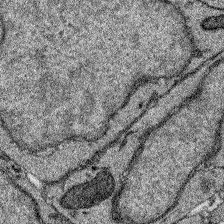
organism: Zebrafish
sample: Larval olfactory bulb